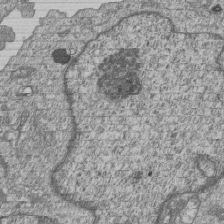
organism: Human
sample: MDA-MB-231 cells